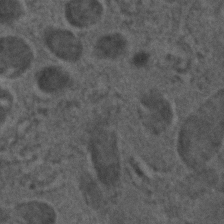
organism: C. elegans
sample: C. elegans embryo